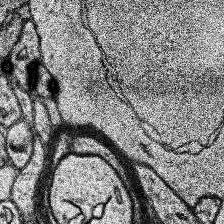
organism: Human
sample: Temporal Lobe